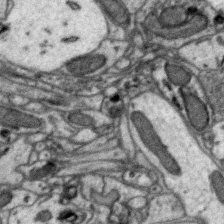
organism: Zebra finch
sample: Brain